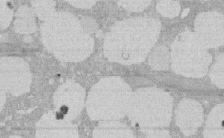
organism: Rat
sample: Salivary granule